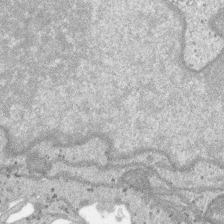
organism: Human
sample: Lung epithelial cells infected with SARS-CoV-2